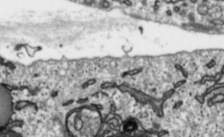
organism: Toxoplasma gondii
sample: Parasites in a vacuole inside a host cell